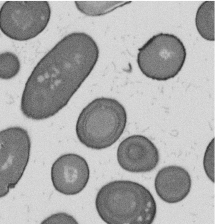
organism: B. subtilis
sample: Bacterial spore